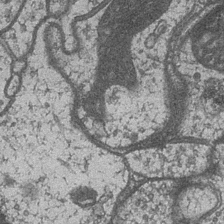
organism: Drosophila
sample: Optic medulla